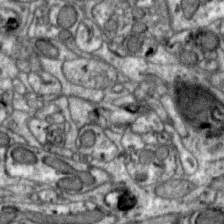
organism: Zebra finch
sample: Brain